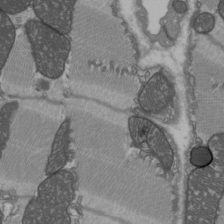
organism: C57BL Mouse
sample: Heart